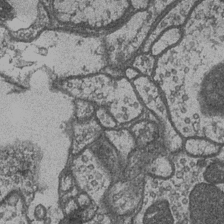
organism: Drosophila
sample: Optic medulla